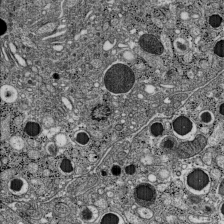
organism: C57BL Mouse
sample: Pancreatic islet